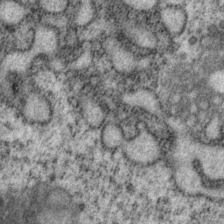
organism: P. pacificus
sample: Pharynx